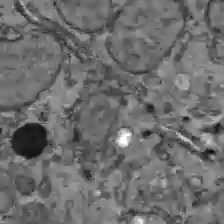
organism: C57BL Mouse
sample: Liver